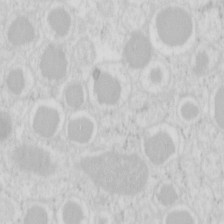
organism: Mouse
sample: Pancreas